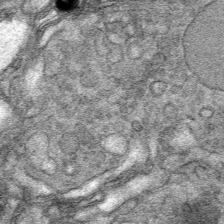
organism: Mouse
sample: Mouse Salivary gland